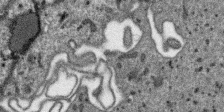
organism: Human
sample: Lung epithelial cells infected with SARS-CoV-2